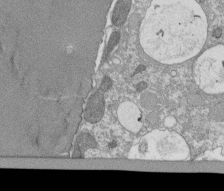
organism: Tetrahymena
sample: Cilia in tetrahymena